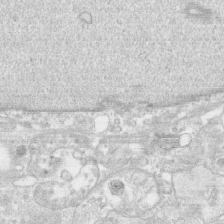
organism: Human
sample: CRL-1474